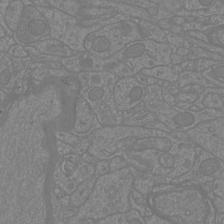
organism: Mouse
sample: Cortical neurons